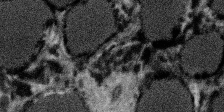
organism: Human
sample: Lung epithelial cells infected with SARS-CoV-2